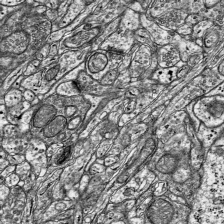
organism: Mouse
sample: Visual Cortex